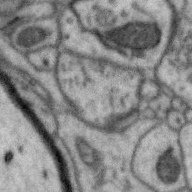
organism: Zebra finch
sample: Brain